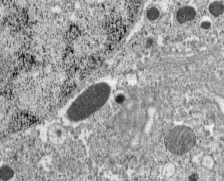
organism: C57BL Mouse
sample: Pancreatic islet